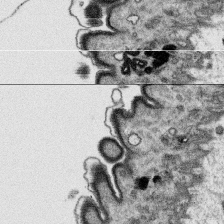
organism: Platynereis dumerilii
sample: Parapodia